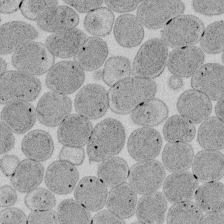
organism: E. coli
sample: Bacterial nucleoid